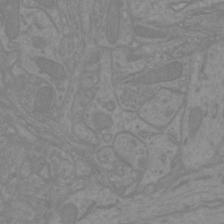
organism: Mouse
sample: Cortical neurons